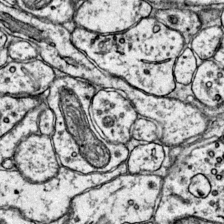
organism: Mouse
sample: Primary visual cortex